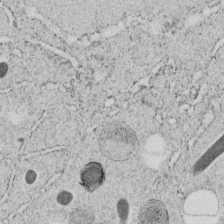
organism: C. elegans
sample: C. elegans embryo early stage